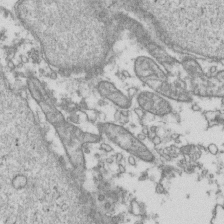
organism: Human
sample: Activated Jurkat CD4+ T cells